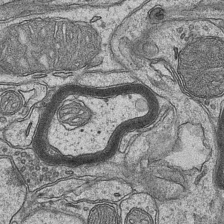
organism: Mouse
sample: CA1 Hippocampus